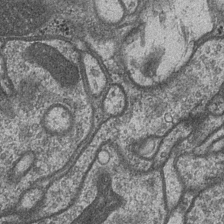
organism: Drosophila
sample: Optic medulla